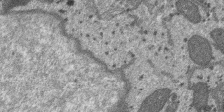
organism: Human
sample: Lung epithelial cells infected with SARS-CoV-2